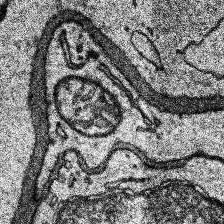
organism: Human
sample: Temporal Lobe